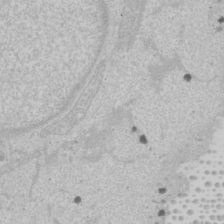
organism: Human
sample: Mitochondria in U2OS cells